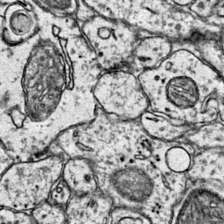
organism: Mouse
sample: Primary visual cortex